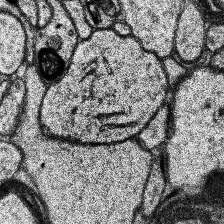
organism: Human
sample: Temporal Lobe